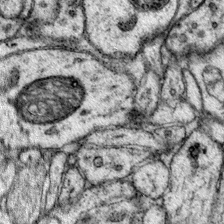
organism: Mouse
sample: Primary visual cortex